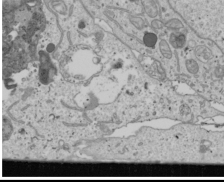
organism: Human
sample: Mitochondria in U2OS cells